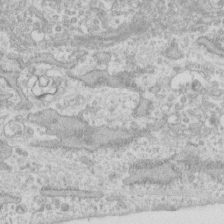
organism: Human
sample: Fibroblast cells